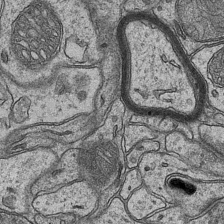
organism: Mouse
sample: CA1 Hippocampus